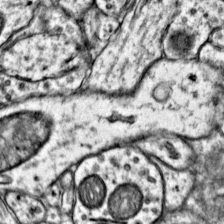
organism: Mouse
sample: Primary visual cortex